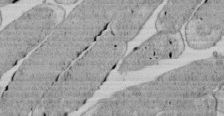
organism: E. coli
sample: Bacterial nucleoid